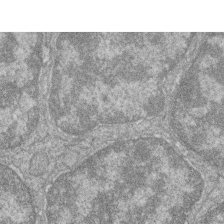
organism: Zebrafish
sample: Cilia; retinal pigment epithelium